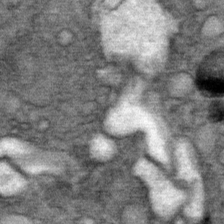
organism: Mouse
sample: Mouse Salivary gland